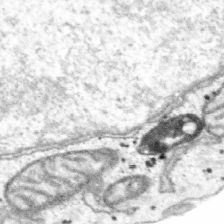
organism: Human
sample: HeLa cells